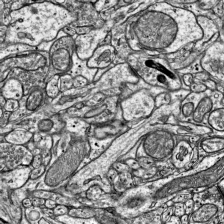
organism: Mouse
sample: Visual Cortex